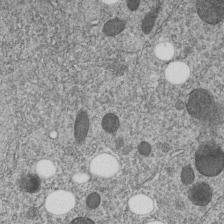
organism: C. elegans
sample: C. elegans embryo early stage